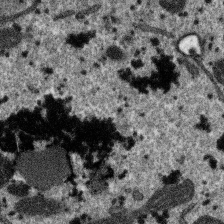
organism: Human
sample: Lung epithelial cells infected with SARS-CoV-2